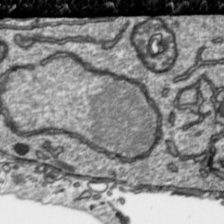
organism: Toxoplasma gondii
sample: Parasites in a vacuole inside a host cell